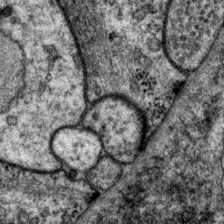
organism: P. pacificus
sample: Pharynx